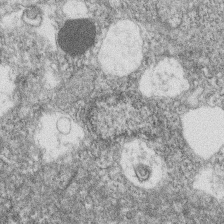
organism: Zebrafish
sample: Cilia; retinal pigment epithelium